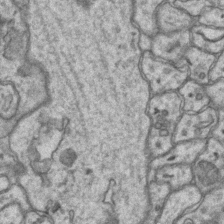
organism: Mouse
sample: CA1 Hippocampus